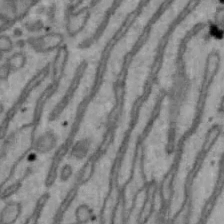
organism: Mouse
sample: Liver